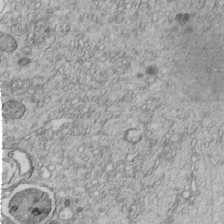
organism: C. elegans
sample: C. elegans embryo early stage